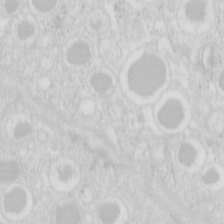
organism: Mouse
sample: Pancreas